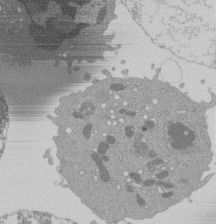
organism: Mouse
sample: Activated Pmel transgenic CD8+ T Cells